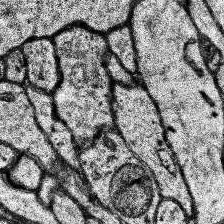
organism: Human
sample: Temporal Lobe